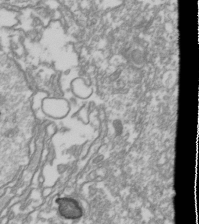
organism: Drosophila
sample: Cell division; meiosis; drosophila spermatocytes